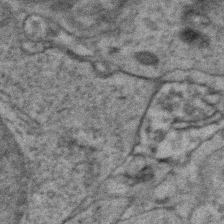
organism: Zebrafish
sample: Zebrafish embryo